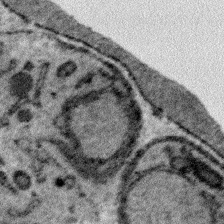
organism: Plasmodium falciparum